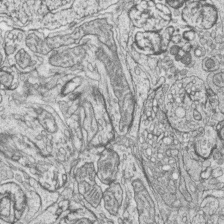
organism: Zebrafish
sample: synaptic ribbons in rod cells and cone cells